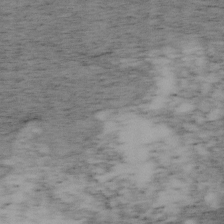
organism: Mouse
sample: OT-I killer T cells with ID8 ovarian cancer cells